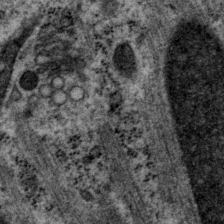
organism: P. pacificus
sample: Pharynx